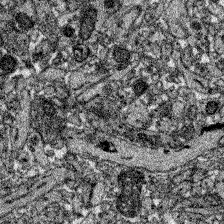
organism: Zebrafish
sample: Larval olfactory bulb